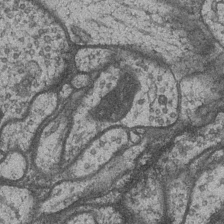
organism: Drosophila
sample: Optic medulla